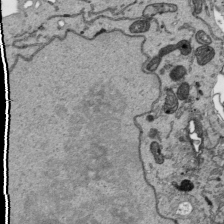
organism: Human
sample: Mitochondria in HCT116 cells